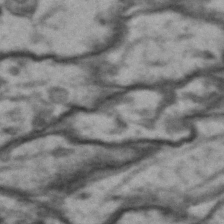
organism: Drosophila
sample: Brain